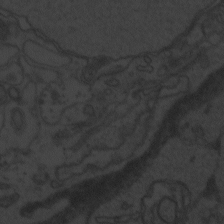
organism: Zebrafish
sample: Macrophage infected with Toxoplasma gondii